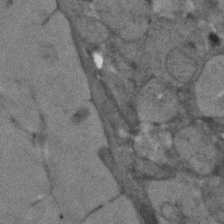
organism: Human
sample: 1205lu cells